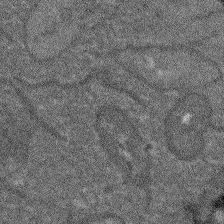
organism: Arabidopsis thaliana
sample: Root tip